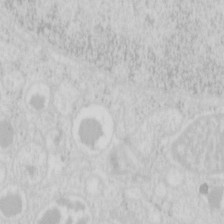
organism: Mouse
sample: Pancreas